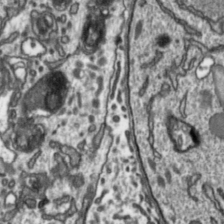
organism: Toxoplasma gondii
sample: Parasites in a vacuole inside a host cell